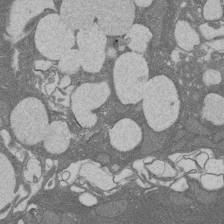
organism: Rat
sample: Salivary granule